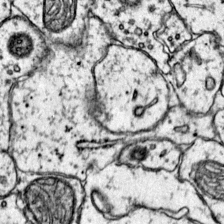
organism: Mouse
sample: Primary visual cortex